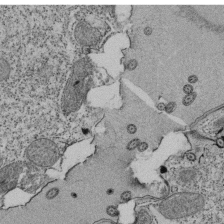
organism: Tetrahymena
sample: Cilia in tetrahymena